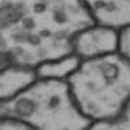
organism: Drosophila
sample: Brain